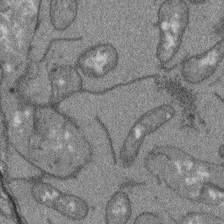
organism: Arabidopsis thaliana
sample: Root tip